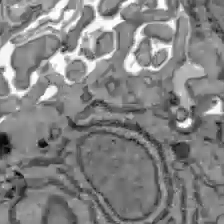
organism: C57BL Mouse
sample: Liver